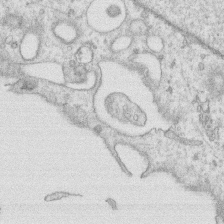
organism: Human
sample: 1205lu cells